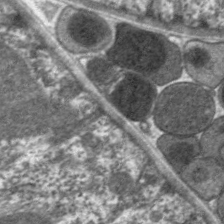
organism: C. elegans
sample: Pharynx